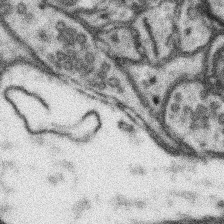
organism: Mouse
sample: Somatosensory cortex neuropil